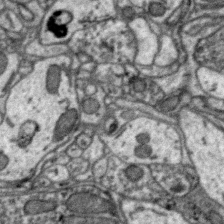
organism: Zebra finch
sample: Brain